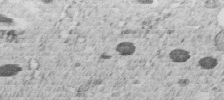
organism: C. elegans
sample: C. elegans embryo early stage